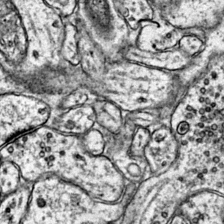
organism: Mouse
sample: Primary visual cortex